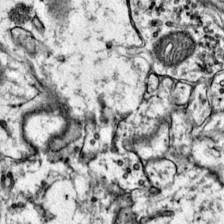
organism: Mouse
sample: Primary visual cortex